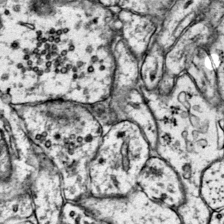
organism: Mouse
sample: Primary visual cortex